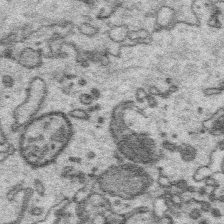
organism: Platynereis dumerilii